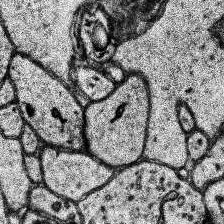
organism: Human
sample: Temporal Lobe